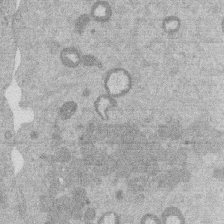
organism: Mouse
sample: Dividing mouse embryo 1 cell stage